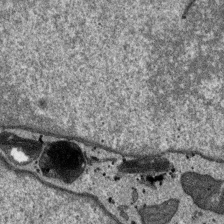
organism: Human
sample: Lung epithelial cells, uninfected (mock) control